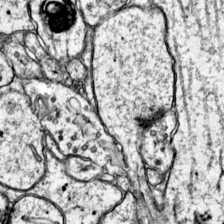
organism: Mouse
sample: Primary visual cortex